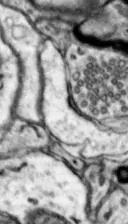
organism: Mouse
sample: Nucleus accumbens